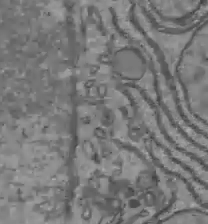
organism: C57BL Mouse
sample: Liver